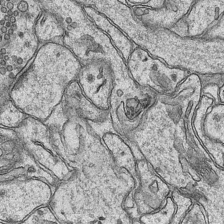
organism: Mouse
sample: CA1 Hippocampus